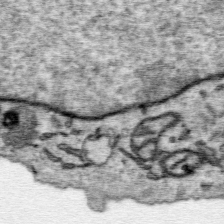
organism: Human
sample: HeLa cells